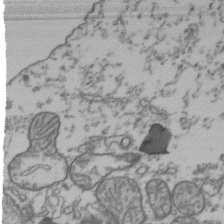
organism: Human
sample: Activated Jurkat CD4+ T cells